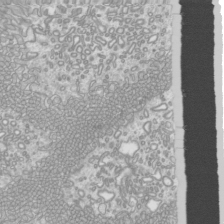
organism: Mouse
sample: Cilia; mouse epididymis